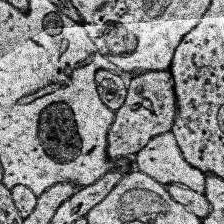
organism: Human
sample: Temporal Lobe